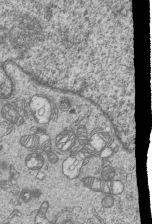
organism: Human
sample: MDA-MB-231 cells